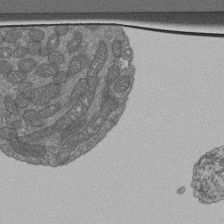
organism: Human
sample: Retinal organoid Rod and Cone cells